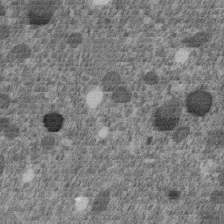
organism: C. elegans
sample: C. elegans embryo early stage